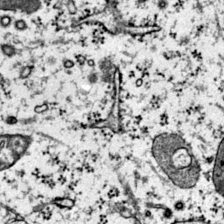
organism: Mouse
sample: Primary visual cortex